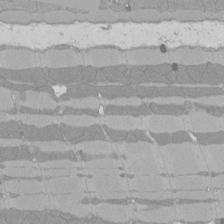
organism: Rat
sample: Left ventricle